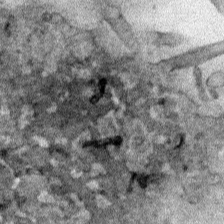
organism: Human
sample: Mitochondria in HCT116 cells